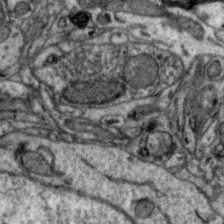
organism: Zebra finch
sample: Brain